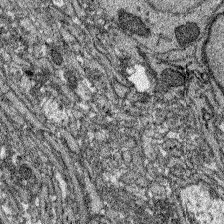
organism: Zebrafish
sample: Larval olfactory bulb